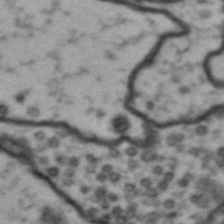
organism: Drosophila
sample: Brain